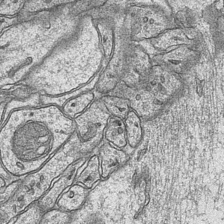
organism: Mouse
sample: CA1 Hippocampus